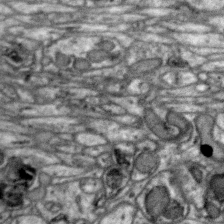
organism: Zebra finch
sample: Brain